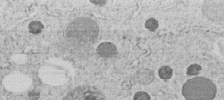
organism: C. elegans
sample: C. elegans embryo early stage